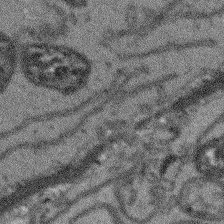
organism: Arabidopsis thaliana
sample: Root tip